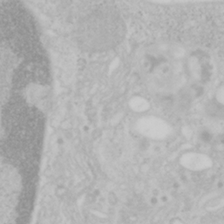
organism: Mouse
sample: OT-I killer T cells with ID8 ovarian cancer cells